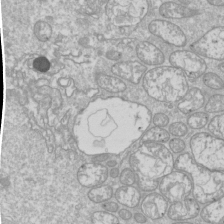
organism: Drosophila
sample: Cell division; meiosis; drosophila spermatocytes